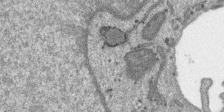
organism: Human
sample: Lung epithelial cells infected with SARS-CoV-2